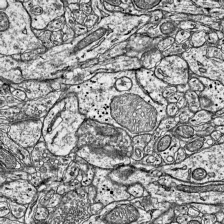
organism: Mouse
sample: Visual Cortex